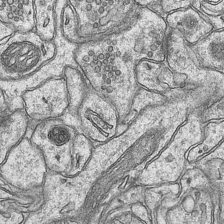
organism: Mouse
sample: CA1 Hippocampus